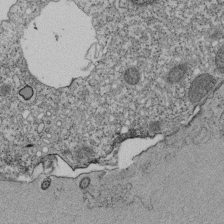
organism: Tetrahymena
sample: Cilia in tetrahymena